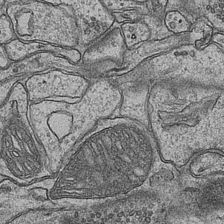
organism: Mouse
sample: CA1 Hippocampus